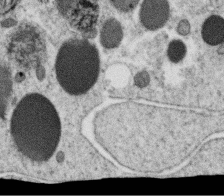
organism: C. elegans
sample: C. elegans oocyte; sperm cells